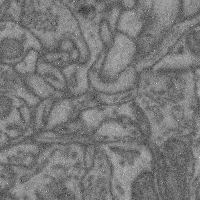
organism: Mouse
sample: Cerebral cortex